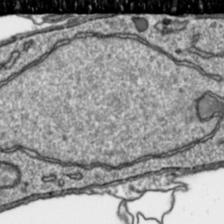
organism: Toxoplasma gondii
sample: Parasites in a vacuole inside a host cell